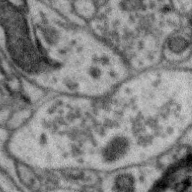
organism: Zebra finch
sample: Brain